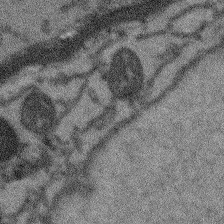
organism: Arabidopsis thaliana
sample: Root tip